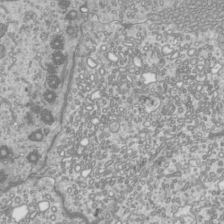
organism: Mouse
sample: Cilia; mouse epididymis